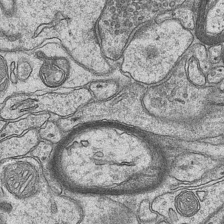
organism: Mouse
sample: CA1 Hippocampus